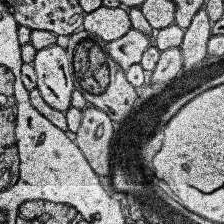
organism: Human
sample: Temporal Lobe